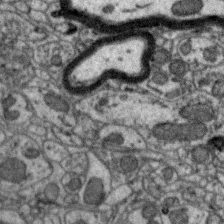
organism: Zebra finch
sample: Brain